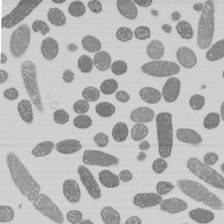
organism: E. coli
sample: Bacterial nucleoid